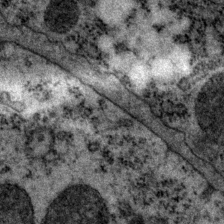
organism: P. pacificus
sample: Pharynx